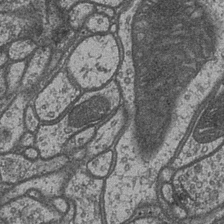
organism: Drosophila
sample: Optic medulla